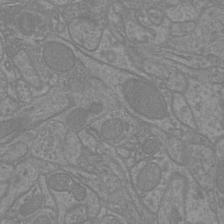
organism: Mouse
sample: Cortical neurons